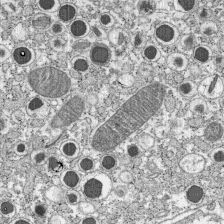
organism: C57BL Mouse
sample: Pancreatic islet